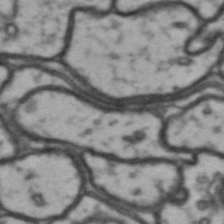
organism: Drosophila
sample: Brain